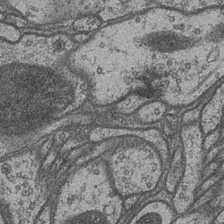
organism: Drosophila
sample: Optic medulla